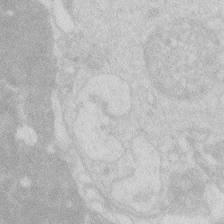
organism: Zebrafish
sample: Macrophage